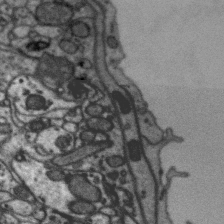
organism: Zebra finch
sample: Brain